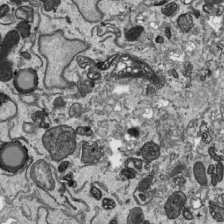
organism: Human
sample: Mitochondria in HCT116 cells